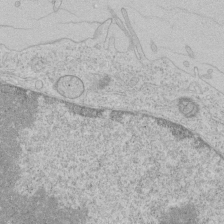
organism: Human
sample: Mitochondria in HCT116 cells